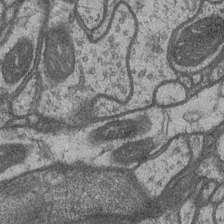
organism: Drosophila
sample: Optic medulla